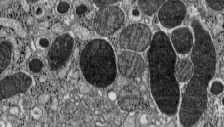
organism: C57BL Mouse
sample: Pancreatic islet